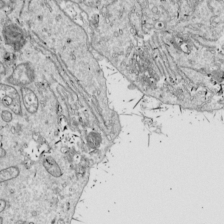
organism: Drosophila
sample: Cell division; meiosis; drosophila spermatocytes